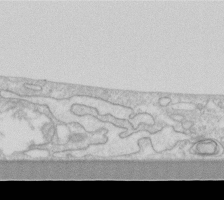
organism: Human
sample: Fibroblast cells